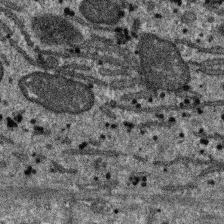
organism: Human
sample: Lung epithelial cells infected with SARS-CoV-2